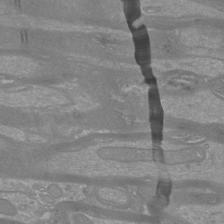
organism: Mouse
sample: Cortical neurons